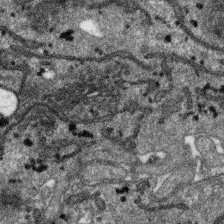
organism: Human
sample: Lung epithelial cells infected with SARS-CoV-2